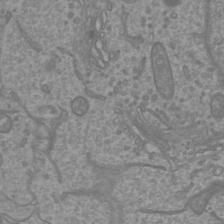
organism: Mouse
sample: Cortical neurons